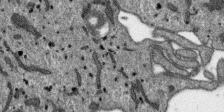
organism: Human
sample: Lung epithelial cells, uninfected (mock) control